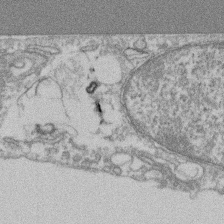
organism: Mouse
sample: T cell stromal cell synapse